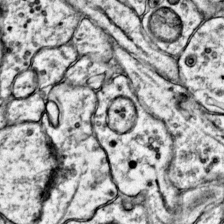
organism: Mouse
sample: Primary visual cortex